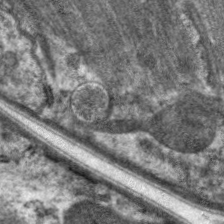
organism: C. elegans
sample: Pharynx